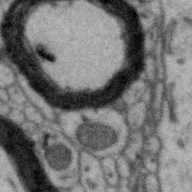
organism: Zebra finch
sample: Brain